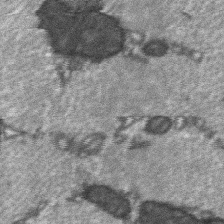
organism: C57BL Mouse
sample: Soleus